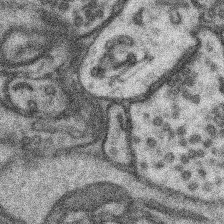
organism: Mouse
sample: Somatosensory cortex neuropil